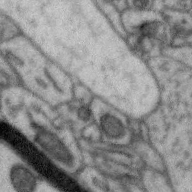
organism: Zebra finch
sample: Brain